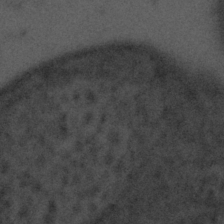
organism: Tuwongella immobilis